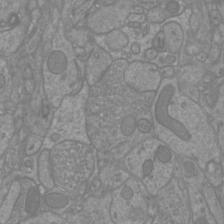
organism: Mouse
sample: Cortical neurons